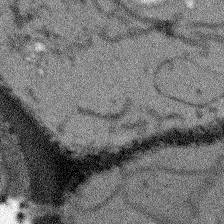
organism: Arabidopsis thaliana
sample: Root tip